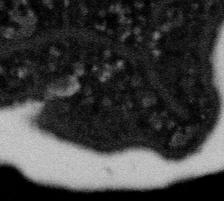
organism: Gemmata obscuriglobus